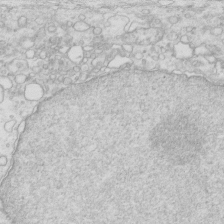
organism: Mouse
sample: Multiciliated cells